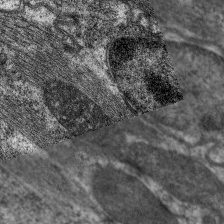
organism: C. elegans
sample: Pharynx